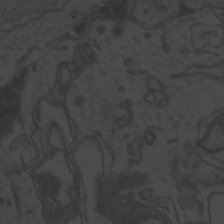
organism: Zebrafish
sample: Macrophage infected with Toxoplasma gondii